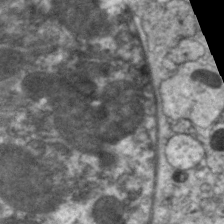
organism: C. elegans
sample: Pharynx